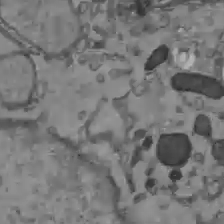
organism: C57BL Mouse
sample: Liver